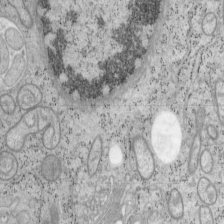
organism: Mouse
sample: OT-I killer T cells with ID8 ovarian cancer cells